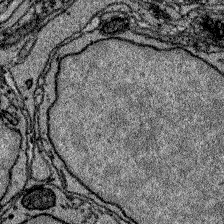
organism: Zebrafish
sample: Larval olfactory bulb